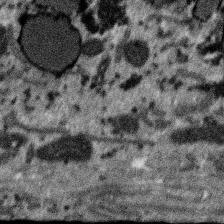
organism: Human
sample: Lung epithelial cells infected with SARS-CoV-2